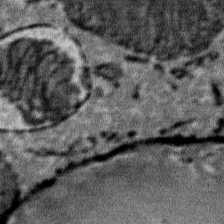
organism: Mouse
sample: Mouse Salivary gland